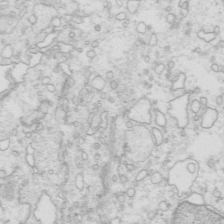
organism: Mouse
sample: Multiciliated cells